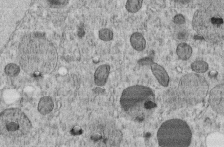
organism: C. elegans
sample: C. elegans embryo early stage